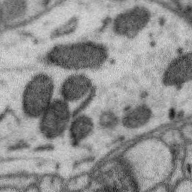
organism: Zebra finch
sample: Brain